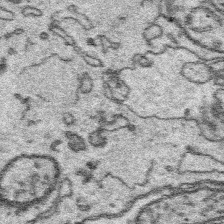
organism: Platynereis dumerilii